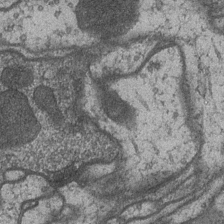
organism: Drosophila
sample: Optic medulla